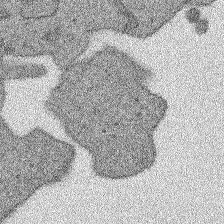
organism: Human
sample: HeLa cells